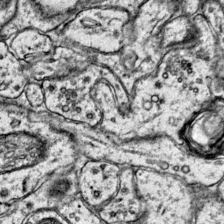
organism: Mouse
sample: Primary visual cortex